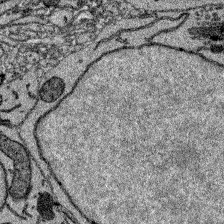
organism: Zebrafish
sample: Larval olfactory bulb